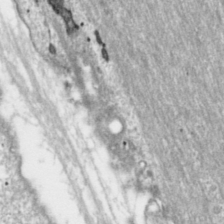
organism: Toxoplasma gondii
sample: Parasites in a vacuole inside a host cell